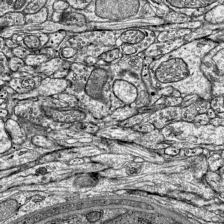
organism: Mouse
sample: Visual Cortex